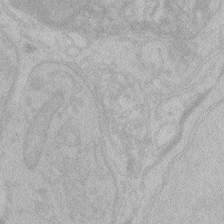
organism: Zebrafish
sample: Macrophage infected with Toxoplasma gondii